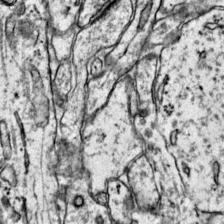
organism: Mouse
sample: Primary visual cortex